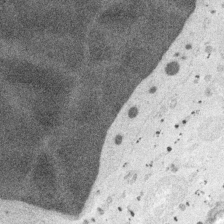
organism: Embia sp.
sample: Silk gland